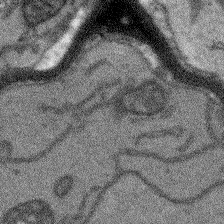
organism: Arabidopsis thaliana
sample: Root tip